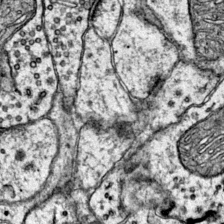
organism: Mouse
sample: Primary visual cortex